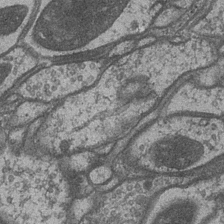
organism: Drosophila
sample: Optic medulla